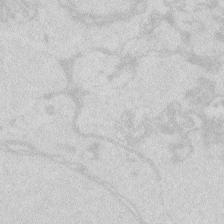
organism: Zebrafish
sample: Macrophage